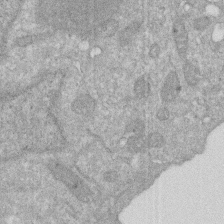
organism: Human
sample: HIV infected U937 cells